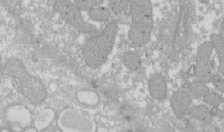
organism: Xenopus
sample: Cilia; centrioles in frog embryo cells